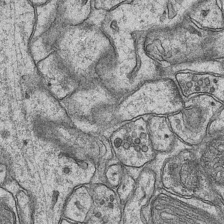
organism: Mouse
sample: CA1 Hippocampus